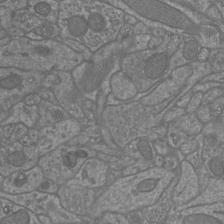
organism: Mouse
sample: Cortical neurons